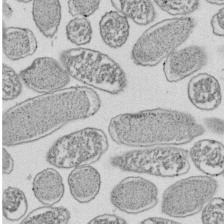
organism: E. coli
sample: Bacterial nucleoid